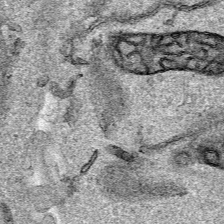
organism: Human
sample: Mitochondria in HCT116 cells